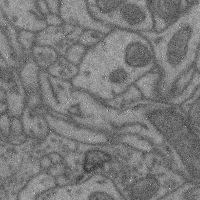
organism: Mouse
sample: Cerebral cortex